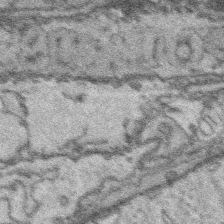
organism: Platynereis dumerilii